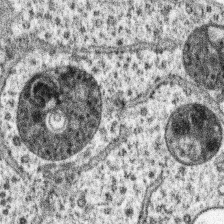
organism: Human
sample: HeLa cells